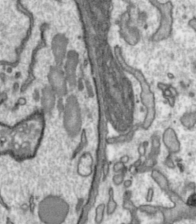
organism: Toxoplasma gondii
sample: Parasites in a vacuole inside a host cell